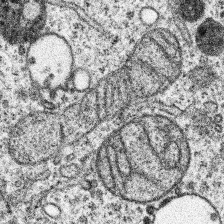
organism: Human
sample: HeLa cells